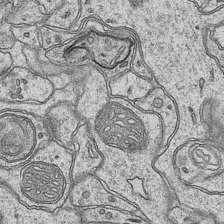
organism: Mouse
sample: CA1 Hippocampus